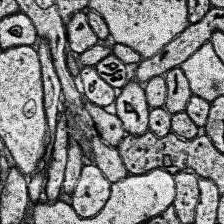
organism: Human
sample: Temporal Lobe